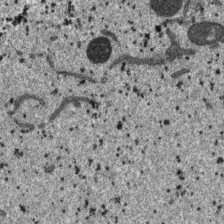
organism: Human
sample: Lung epithelial cells infected with SARS-CoV-2